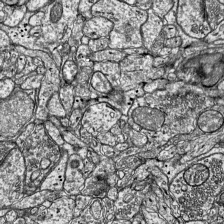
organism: Mouse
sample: Visual Cortex